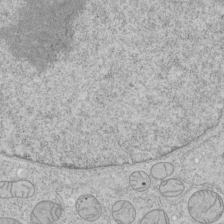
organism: Human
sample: Mitochondria in HCT116 cells